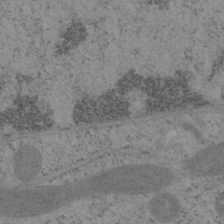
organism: Mouse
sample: OT-I killer T cells with ID8 ovarian cancer cells